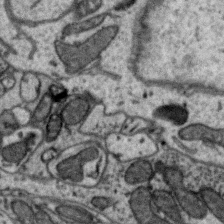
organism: Zebra finch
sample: Brain